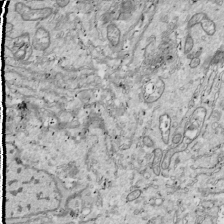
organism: Drosophila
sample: Cell division; meiosis; drosophila spermatocytes